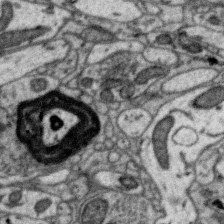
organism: Zebra finch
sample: Brain